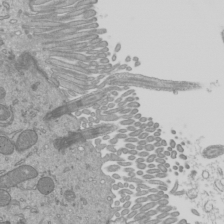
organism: Mouse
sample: Cilia; mouse epididymis